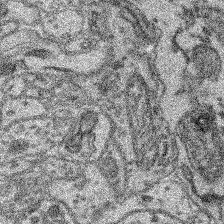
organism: Mouse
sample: Retina